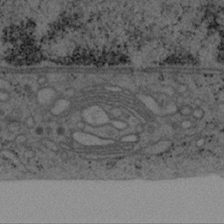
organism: Human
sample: HeLa cells